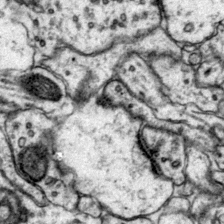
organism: Mouse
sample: Primary visual cortex